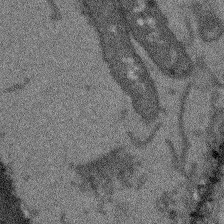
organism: Arabidopsis thaliana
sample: Root tip